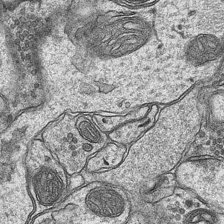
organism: Mouse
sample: CA1 Hippocampus